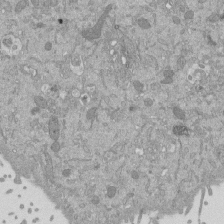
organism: Mouse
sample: ED-1 cell nuclei; centrioles